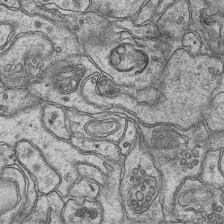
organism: Mouse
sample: CA1 Hippocampus